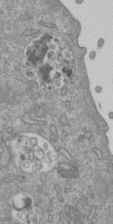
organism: Mouse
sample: ED-1 cell nuclei; centrioles